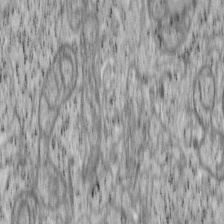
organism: Human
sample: HeLa cells